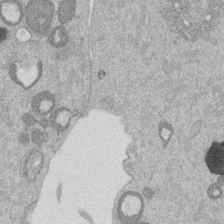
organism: Mouse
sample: Dividing mouse embryo 1 cell stage